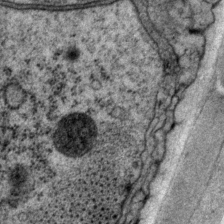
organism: P. pacificus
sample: Pharynx